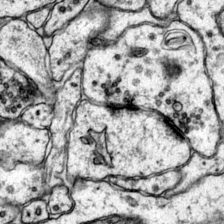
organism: Mouse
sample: Primary visual cortex